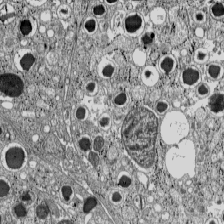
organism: C57BL Mouse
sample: Pancreatic islet